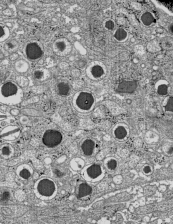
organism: C57BL Mouse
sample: Pancreatic islet